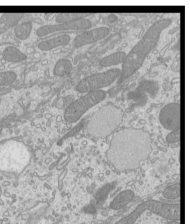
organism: Mouse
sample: Cilia; mouse epididymis